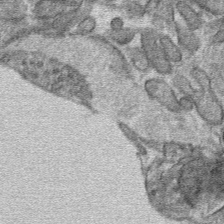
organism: Mouse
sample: Mouse hepatocytes